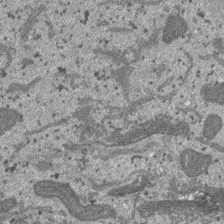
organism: Human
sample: Lung epithelial cells infected with SARS-CoV-2